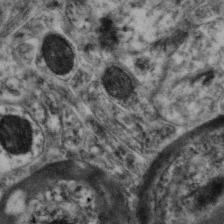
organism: Mouse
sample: Neocortex